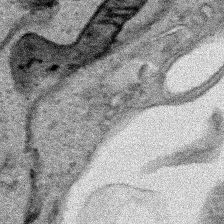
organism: Human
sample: Mitochondria in HCT116 cells